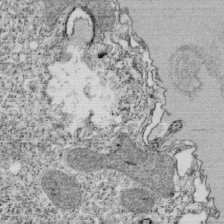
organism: Tetrahymena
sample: Cilia in tetrahymena